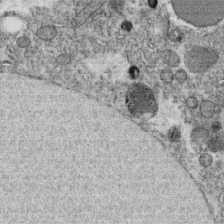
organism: C. elegans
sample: C. elegans oocyte; sperm cells